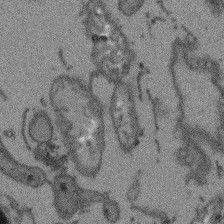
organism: Arabidopsis thaliana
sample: Root tip